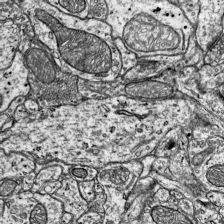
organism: Mouse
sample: Visual Cortex